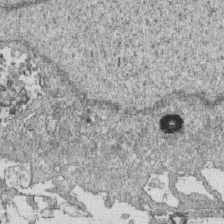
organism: Human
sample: HeLa cell HIV synapse